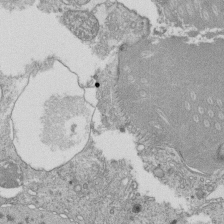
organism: Tetrahymena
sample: Cilia in tetrahymena